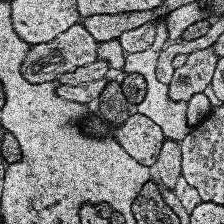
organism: Human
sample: Temporal Lobe